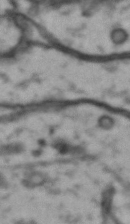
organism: Drosophila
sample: Brain